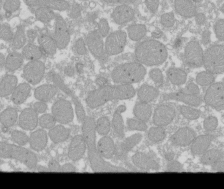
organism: Xenopus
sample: Cilia; centrioles in frog embryo cells